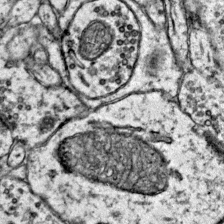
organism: Mouse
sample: Primary visual cortex